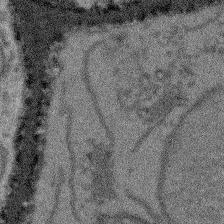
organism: Arabidopsis thaliana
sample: Root tip